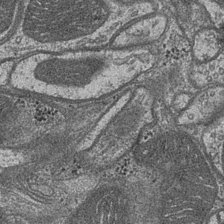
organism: Drosophila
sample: Optic medulla